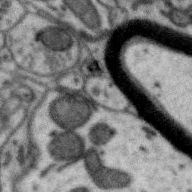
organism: Zebra finch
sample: Brain